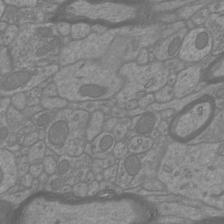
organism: Mouse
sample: Cortical neurons